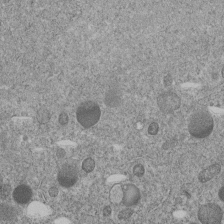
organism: C. elegans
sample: C. elegans embryo early stage